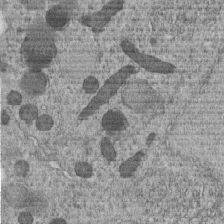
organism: C. elegans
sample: C. elegans embryo early stage